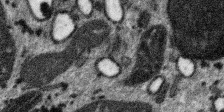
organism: Human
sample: Lung epithelial cells infected with SARS-CoV-2